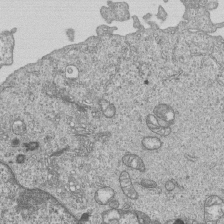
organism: Human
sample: MDA-MB-231 cells